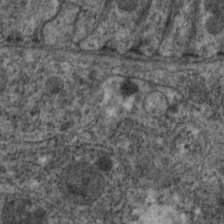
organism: C. elegans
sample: Pharynx